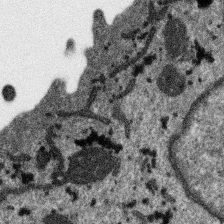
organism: Human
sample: Lung epithelial cells infected with SARS-CoV-2